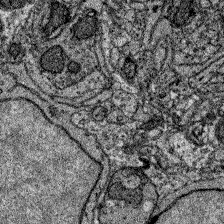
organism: Zebrafish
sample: Larval olfactory bulb